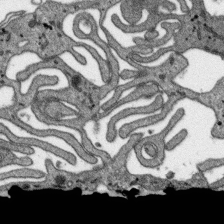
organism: Human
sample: Lung epithelial cells, uninfected (mock) control